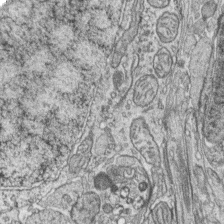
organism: Zebrafish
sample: synaptic ribbons in rod cells and cone cells